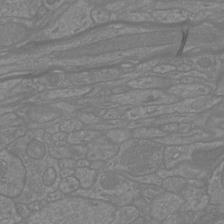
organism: Mouse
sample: Cortical neurons